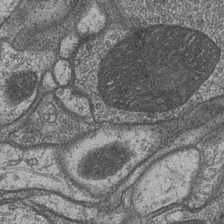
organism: Drosophila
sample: Optic medulla